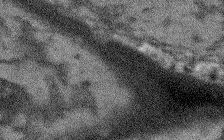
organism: Arabidopsis thaliana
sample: Root tip